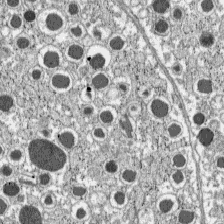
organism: C57BL Mouse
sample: Pancreatic islet